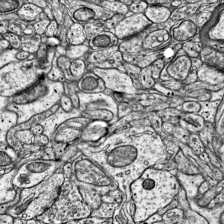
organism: Mouse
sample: Visual Cortex